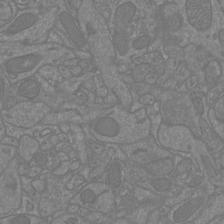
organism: Mouse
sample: Cortical neurons